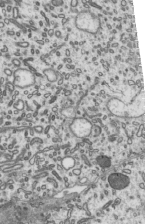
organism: Mouse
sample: Mouse epididymis efferent ductule cilia